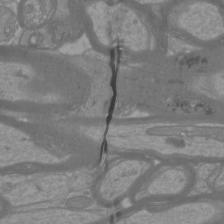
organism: Mouse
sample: Cortical neurons